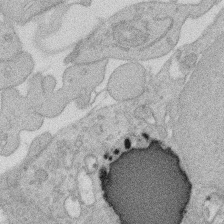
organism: Rat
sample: Salivary granule